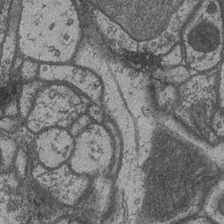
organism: Drosophila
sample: Optic medulla